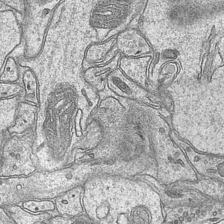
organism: Mouse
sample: CA1 Hippocampus